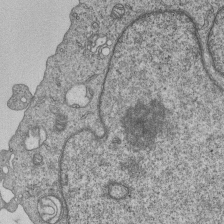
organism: Human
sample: MDA-MB-231 cells